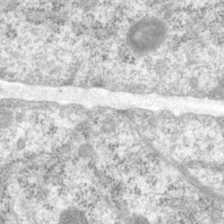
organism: P. pacificus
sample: Pharynx